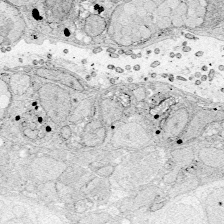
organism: Zebrafish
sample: Whole-Brain